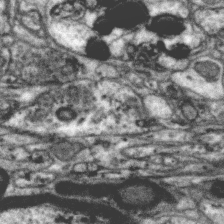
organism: Zebra finch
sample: Brain